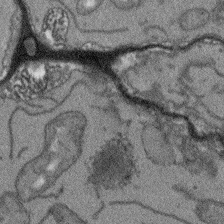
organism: Arabidopsis thaliana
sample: Root tip